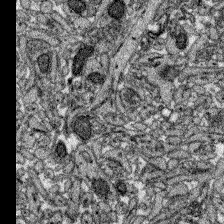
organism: Zebrafish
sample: Larval olfactory bulb